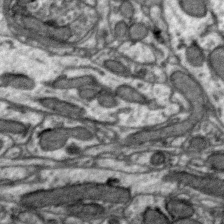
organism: Zebra finch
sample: Brain